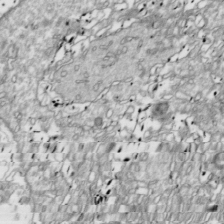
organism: Drosophila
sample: Cell division; meiosis; drosophila spermatocytes